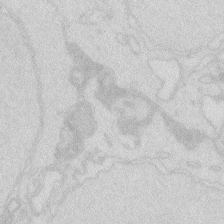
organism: Zebrafish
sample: Macrophage